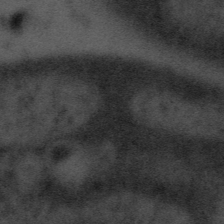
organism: Tuwongella immobilis